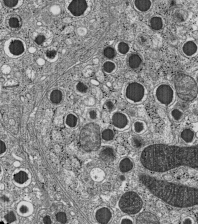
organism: C57BL Mouse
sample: Pancreatic islet